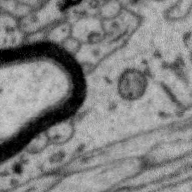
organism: Zebra finch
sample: Brain